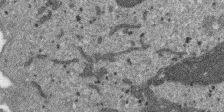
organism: Human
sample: Lung epithelial cells infected with SARS-CoV-2